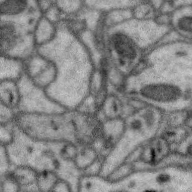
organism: Zebra finch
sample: Brain